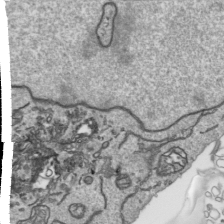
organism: Human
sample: Mitochondria in HCT116 cells